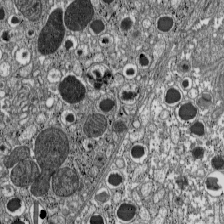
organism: C57BL Mouse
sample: Pancreatic islet